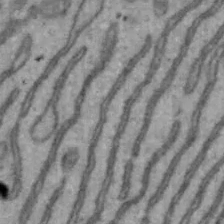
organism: Mouse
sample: Liver